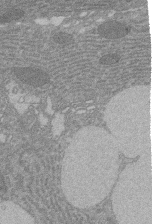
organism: Rat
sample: Salivary granule